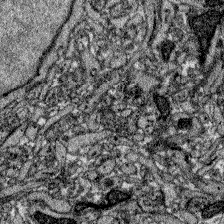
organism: Zebrafish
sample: Larval olfactory bulb